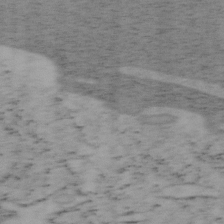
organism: Mouse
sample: OT-I killer T cells with ID8 ovarian cancer cells